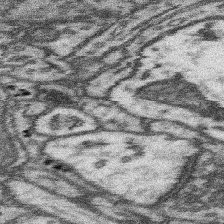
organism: Mouse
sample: Somatosensory cortex neuropil